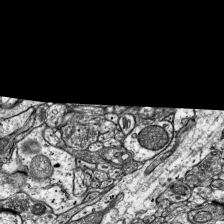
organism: Mouse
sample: Visual Cortex